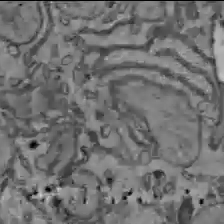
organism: C57BL Mouse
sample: Liver